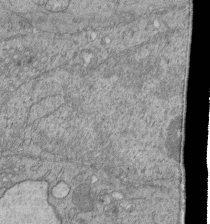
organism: Human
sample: Retinal organoid Rod and Cone cells